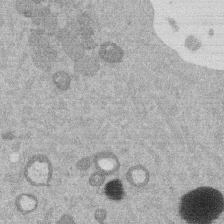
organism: Mouse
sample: Dividing mouse embryo 1 cell stage